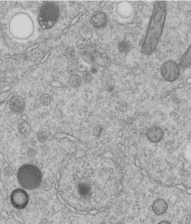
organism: C. elegans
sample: C. elegans embryo early stage